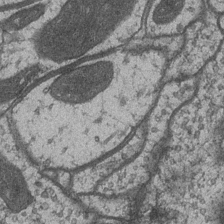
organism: Drosophila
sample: Optic medulla